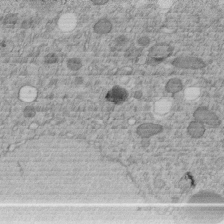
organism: C. elegans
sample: C. elegans embryo early stage